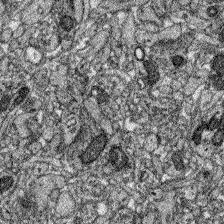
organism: Zebrafish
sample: Larval olfactory bulb